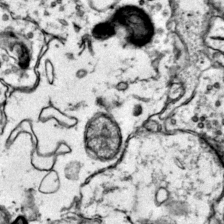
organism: Mouse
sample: Primary visual cortex